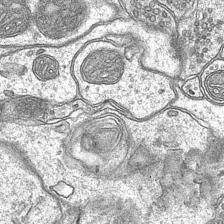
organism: Mouse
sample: CA1 Hippocampus